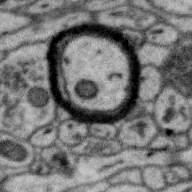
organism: Zebra finch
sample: Brain